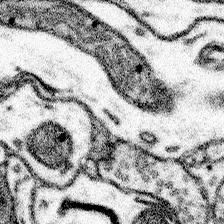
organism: Mouse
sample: Somatosensory cortex neuropil